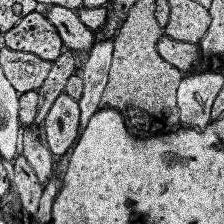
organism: Human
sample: Temporal Lobe